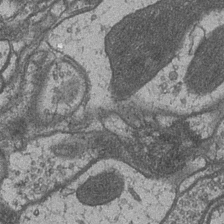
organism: Drosophila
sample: Optic medulla